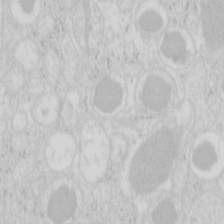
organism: Mouse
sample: Pancreas